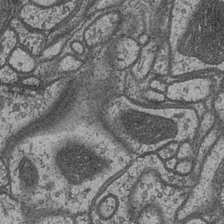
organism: Drosophila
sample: Optic medulla